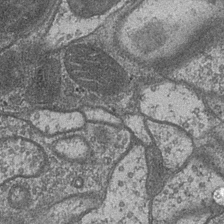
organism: Drosophila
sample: Optic medulla